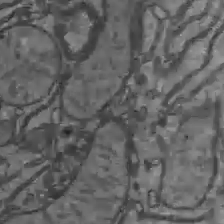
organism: C57BL Mouse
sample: Liver